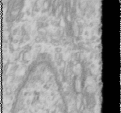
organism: Human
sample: Cilia; basal body in RPE cells